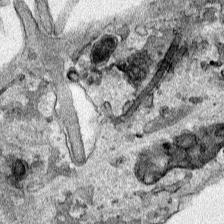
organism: Human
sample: Mitochondria in HCT116 cells